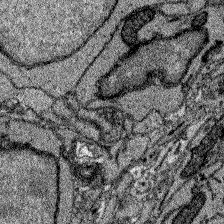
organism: Zebrafish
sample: Larval olfactory bulb